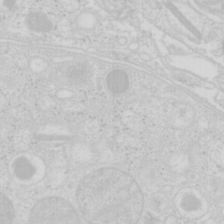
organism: Mouse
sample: Pancreas